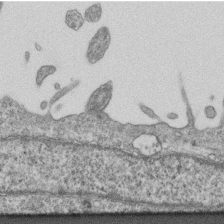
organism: Mouse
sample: Centriole in ependymal cells